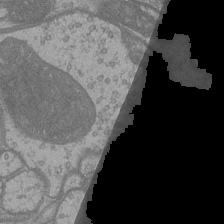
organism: Drosophila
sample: Optic medulla